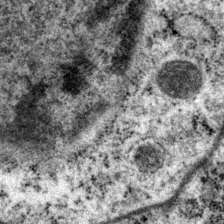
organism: P. pacificus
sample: Pharynx